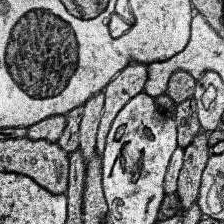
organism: Human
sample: Temporal Lobe